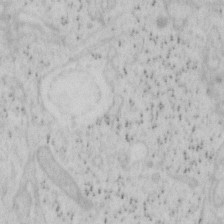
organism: Human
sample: HeLa cells